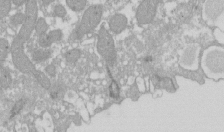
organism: Xenopus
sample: Cilia; centrioles in frog embryo cells